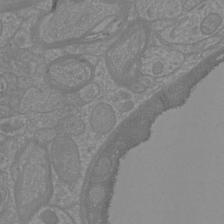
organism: Mouse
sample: Cortical neurons